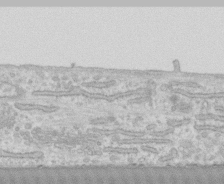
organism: Human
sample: CRL-1474